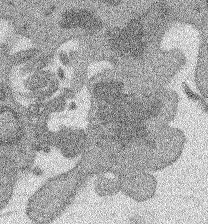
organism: Human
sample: HeLa cells